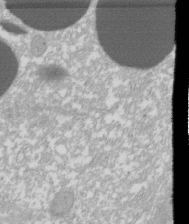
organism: Xenopus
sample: Cilia; centrioles in frog embryo cells